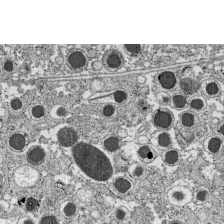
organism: C57BL Mouse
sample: Pancreatic islet